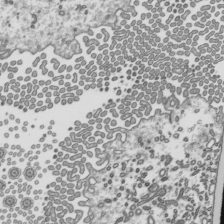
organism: Mouse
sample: Mouse epididymis efferent ductule cilia